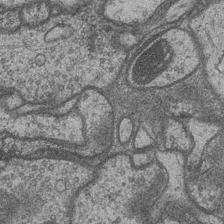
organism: Drosophila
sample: Optic medulla